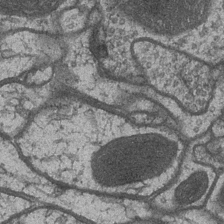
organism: Drosophila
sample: Optic medulla